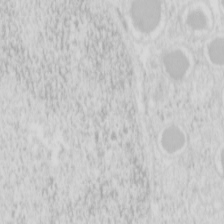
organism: Mouse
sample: Pancreas